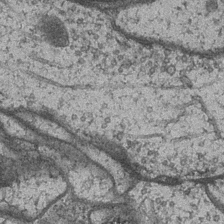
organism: Drosophila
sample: Optic medulla